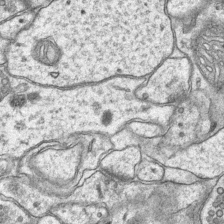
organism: Mouse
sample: CA1 Hippocampus